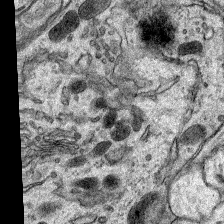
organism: Rat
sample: Hippocampus